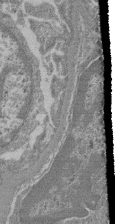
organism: Mouse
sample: Glomerulus